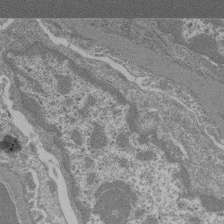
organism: Mouse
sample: Glomerulus